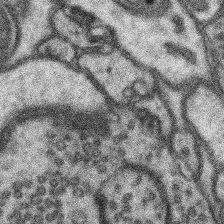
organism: Mouse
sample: Somatosensory cortex neuropil